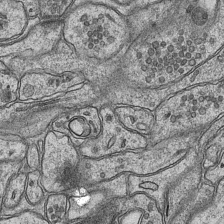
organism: Mouse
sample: CA1 Hippocampus